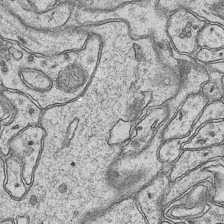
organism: Mouse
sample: CA1 Hippocampus